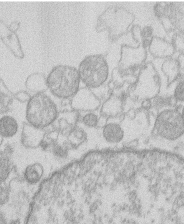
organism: Human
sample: Macrophage cells